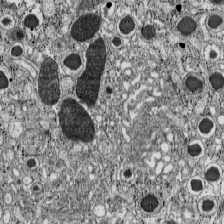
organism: C57BL Mouse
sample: Pancreatic islet